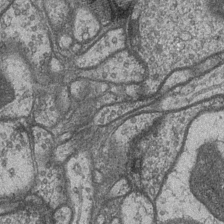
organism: Drosophila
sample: Optic medulla